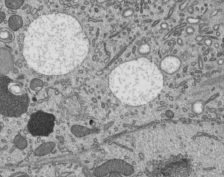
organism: Mouse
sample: Mouse epididymis efferent ductule cilia